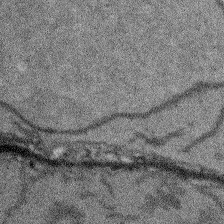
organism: Arabidopsis thaliana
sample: Root tip